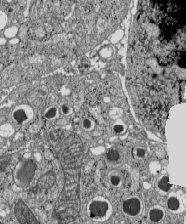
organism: C57BL Mouse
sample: Pancreatic islet